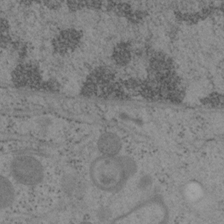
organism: Mouse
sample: OT-I killer T cells with ID8 ovarian cancer cells